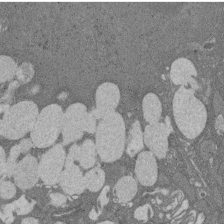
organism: Rat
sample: Salivary granule